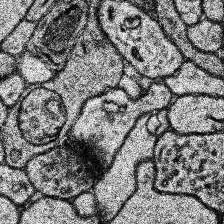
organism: Human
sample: Temporal Lobe